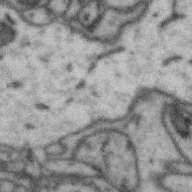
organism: Zebra finch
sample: Brain